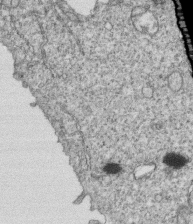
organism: Human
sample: HeLa cell HIV synapse